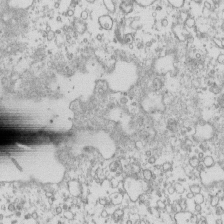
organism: Mouse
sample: Macrophages